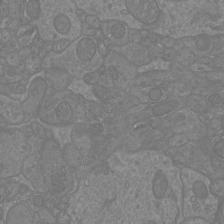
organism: Mouse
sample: Cortical neurons